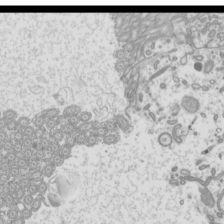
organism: Mouse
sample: Cilia; mouse epididymis